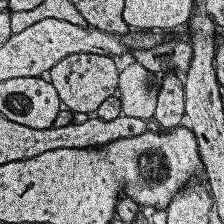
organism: Human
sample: Temporal Lobe